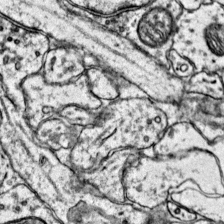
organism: Mouse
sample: Primary visual cortex